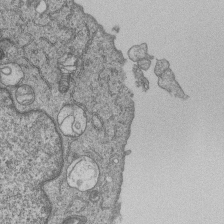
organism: Human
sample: MDA-MB-231 cells